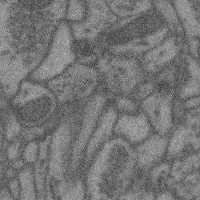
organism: Mouse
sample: Cerebral cortex